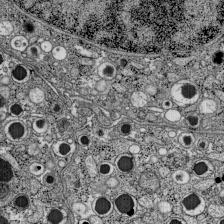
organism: C57BL Mouse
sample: Pancreatic islet